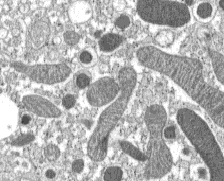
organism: C57BL Mouse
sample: Pancreatic islet